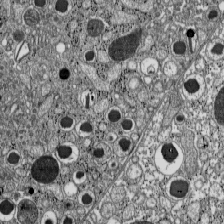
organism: C57BL Mouse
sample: Pancreatic islet